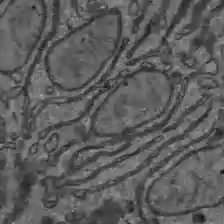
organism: C57BL Mouse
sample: Liver